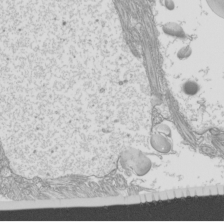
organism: Mouse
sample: Cilia; mouse epididymis